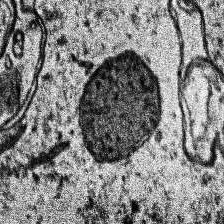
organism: Human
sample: Temporal Lobe